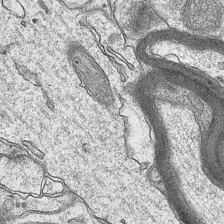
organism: Mouse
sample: CA1 Hippocampus